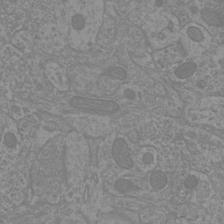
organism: Mouse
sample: Cortical neurons